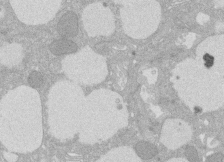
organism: Rat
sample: Salivary granule